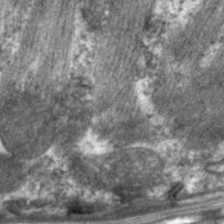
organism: C. elegans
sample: Pharynx